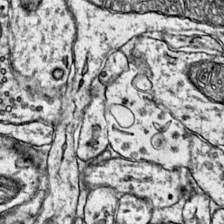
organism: Mouse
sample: Primary visual cortex